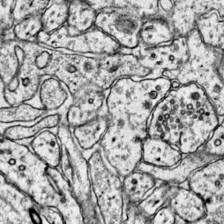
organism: Mouse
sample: Primary visual cortex